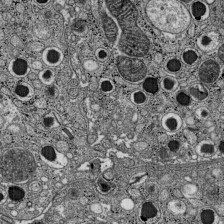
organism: C57BL Mouse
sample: Pancreatic islet